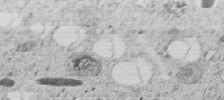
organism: C. elegans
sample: C. elegans embryo early stage